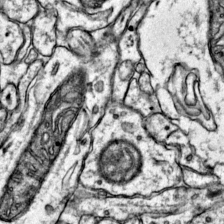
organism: Mouse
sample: Primary visual cortex